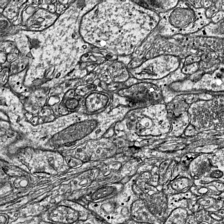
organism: Mouse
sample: Visual Cortex